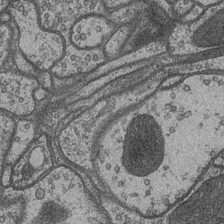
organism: Drosophila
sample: Optic medulla